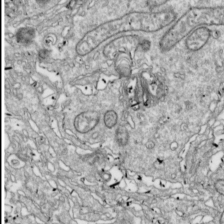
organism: Drosophila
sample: Cell division; meiosis; drosophila spermatocytes